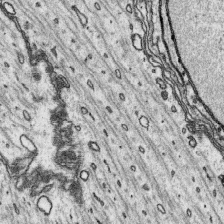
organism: Platynereis dumerilii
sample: Parapodia